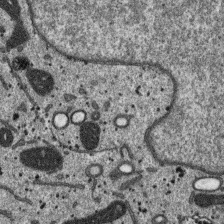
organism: Human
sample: Lung epithelial cells infected with SARS-CoV-2